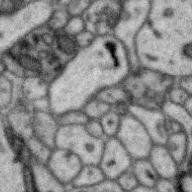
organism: Zebra finch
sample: Brain